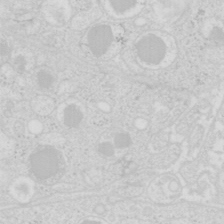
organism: Mouse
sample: Pancreas